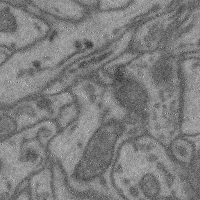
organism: Mouse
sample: Cerebral cortex